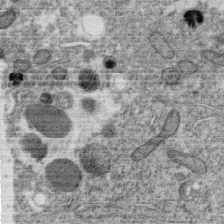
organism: C. elegans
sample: C. elegans oocyte; sperm cells